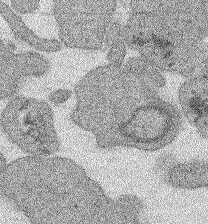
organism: Human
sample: HeLa cells